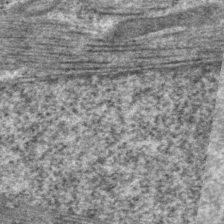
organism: P. pacificus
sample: Pharynx